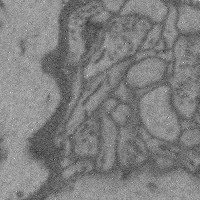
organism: Mouse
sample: Cerebral cortex